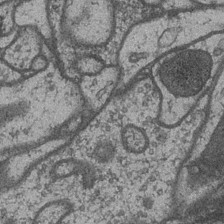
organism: Drosophila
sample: Optic medulla